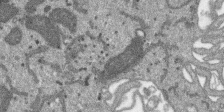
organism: Human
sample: Lung epithelial cells infected with SARS-CoV-2